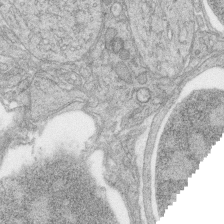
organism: Zebrafish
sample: synaptic ribbons in rod cells and cone cells